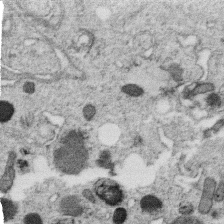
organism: C. elegans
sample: C. elegans oocyte; sperm cells